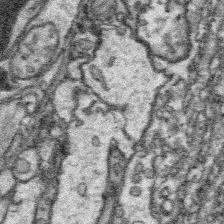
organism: Platynereis dumerilii